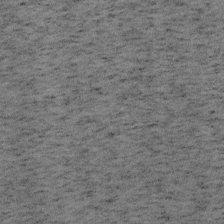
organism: Mouse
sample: OT-I killer T cells with ID8 ovarian cancer cells